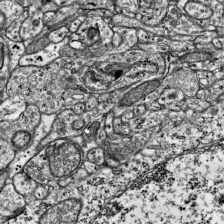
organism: Mouse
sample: Visual Cortex